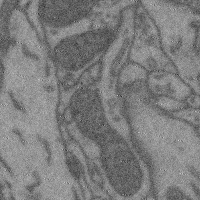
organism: Mouse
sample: Cerebral cortex